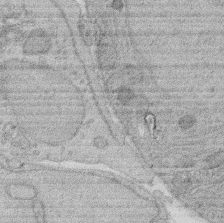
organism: Rat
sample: Salivary granule